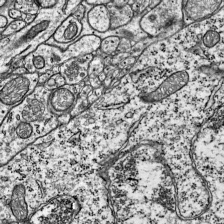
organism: Mouse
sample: Visual Cortex